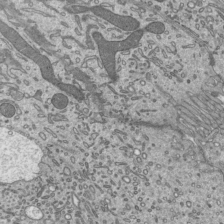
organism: Mouse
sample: Mouse epididymis efferent ductule cilia